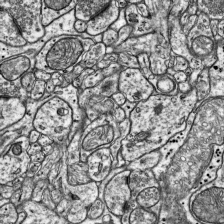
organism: Mouse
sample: Visual Cortex